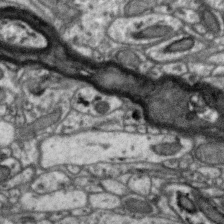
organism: Zebra finch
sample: Brain